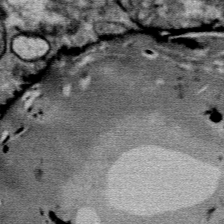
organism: Mouse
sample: Mouse Salivary gland